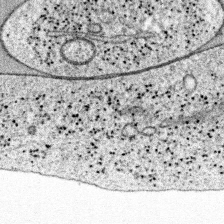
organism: Human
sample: HeLa cells